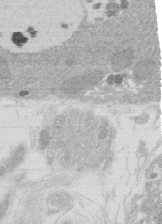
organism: Rat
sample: Salivary granule